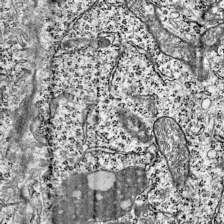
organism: Mouse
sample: Visual Cortex